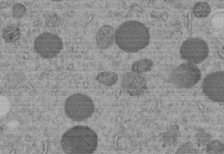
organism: C. elegans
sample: C. elegans embryo early stage